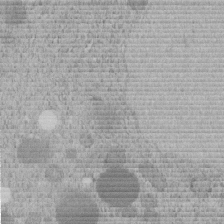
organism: C. elegans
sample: C. elegans embryo early stage